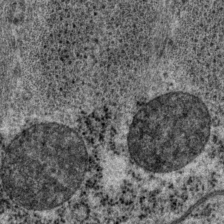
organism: P. pacificus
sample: Pharynx